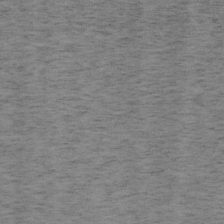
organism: Mouse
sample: OT-I killer T cells with ID8 ovarian cancer cells